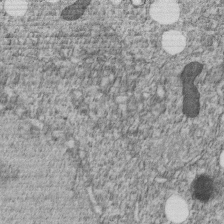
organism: C. elegans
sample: C. elegans embryo early stage